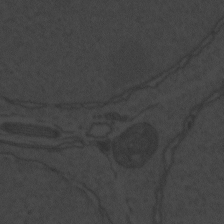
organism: Zebrafish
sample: Macrophage infected with Toxoplasma gondii